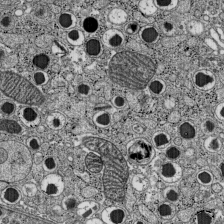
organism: C57BL Mouse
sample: Pancreatic islet